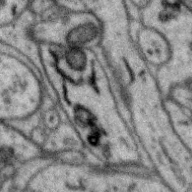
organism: Zebra finch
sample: Brain